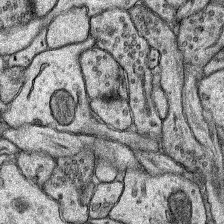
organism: Rat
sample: Hippocampus